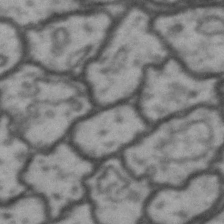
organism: Drosophila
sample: Brain